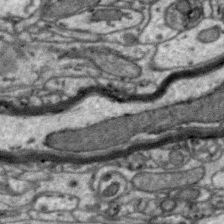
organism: Zebra finch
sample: Brain